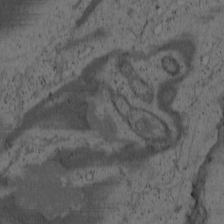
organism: African green monkey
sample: COS-7 cells